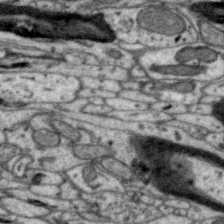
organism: Zebra finch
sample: Brain